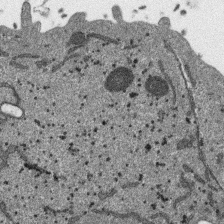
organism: Human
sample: Lung epithelial cells infected with SARS-CoV-2